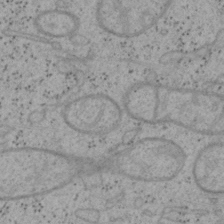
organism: Human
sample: HeLa cells